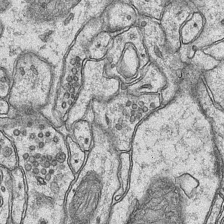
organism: Mouse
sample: CA1 Hippocampus